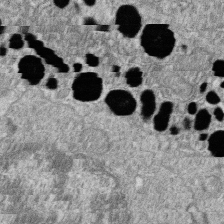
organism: Zebrafish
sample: Cilia; retinal pigment epithelium